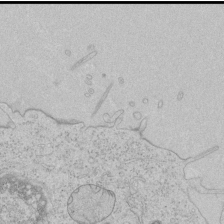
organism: Human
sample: Mitochondria in HCT116 cells